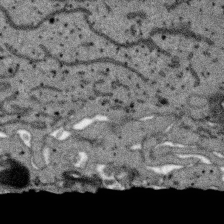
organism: Human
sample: Lung epithelial cells, uninfected (mock) control